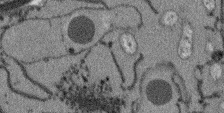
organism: Arabidopsis thaliana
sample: Root tip